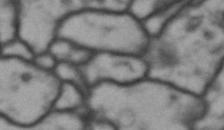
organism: Drosophila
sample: Brain